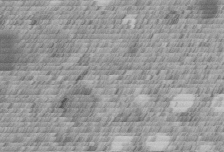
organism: C. elegans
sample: C. elegans embryo early stage